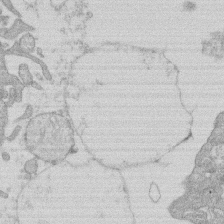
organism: Human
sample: Macrophage cells